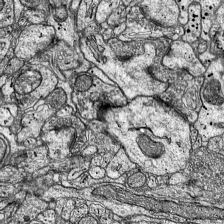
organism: Mouse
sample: Visual Cortex